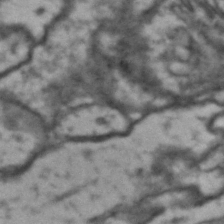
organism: Drosophila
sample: Brain